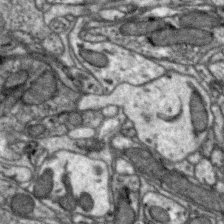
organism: Zebra finch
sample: Brain